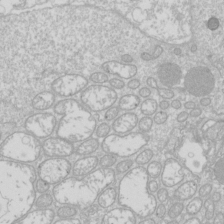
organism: Drosophila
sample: Cell division; meiosis; drosophila spermatocytes